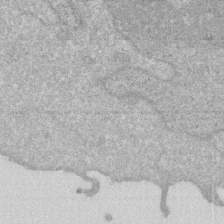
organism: Human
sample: HIV infected U937 cells